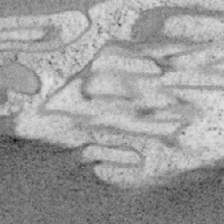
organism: Mouse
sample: OT-I killer T cells with ID8 ovarian cancer cells